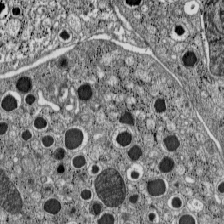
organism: C57BL Mouse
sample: Pancreatic islet